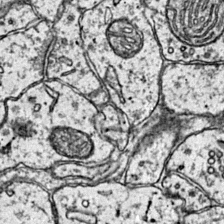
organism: Mouse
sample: Primary visual cortex